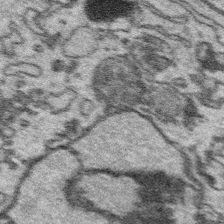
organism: Platynereis dumerilii